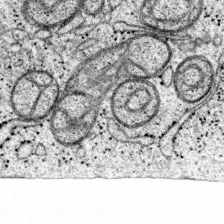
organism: Human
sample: HeLa cells